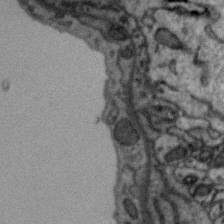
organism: Zebra finch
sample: Brain